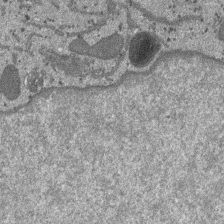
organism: Human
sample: Lung epithelial cells infected with SARS-CoV-2